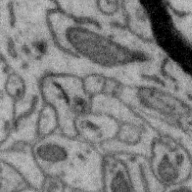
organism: Zebra finch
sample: Brain